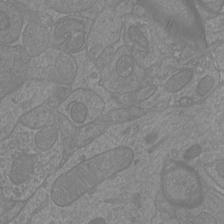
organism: Mouse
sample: Cortical neurons